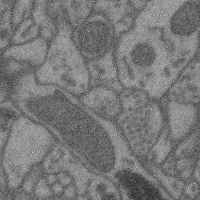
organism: Mouse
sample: Cerebral cortex